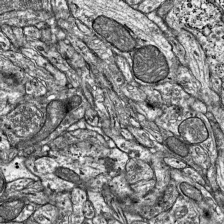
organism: Mouse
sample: Visual Cortex